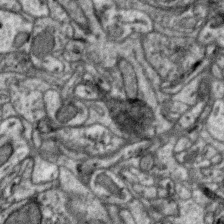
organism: Zebra finch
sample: Brain